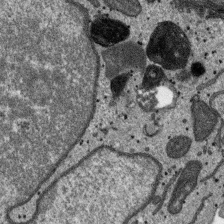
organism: Human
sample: Lung epithelial cells, uninfected (mock) control